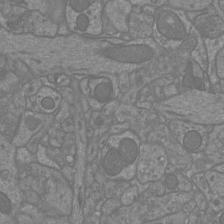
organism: Mouse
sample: Cortical neurons